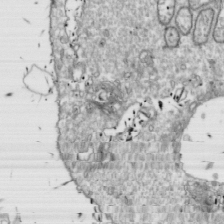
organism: Drosophila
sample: Cell division; meiosis; drosophila spermatocytes